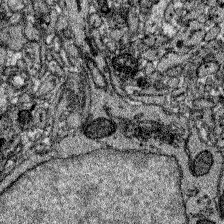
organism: Zebrafish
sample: Larval olfactory bulb